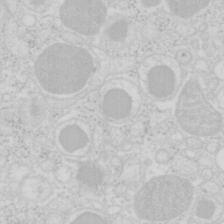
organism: Mouse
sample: Pancreas